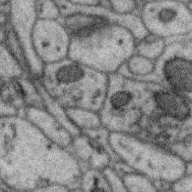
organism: Zebra finch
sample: Brain